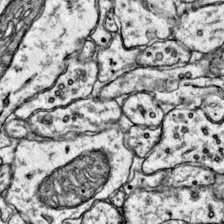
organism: Mouse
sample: Primary visual cortex